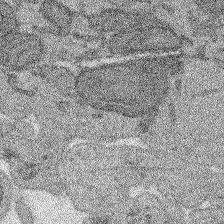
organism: Human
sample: HeLa cells